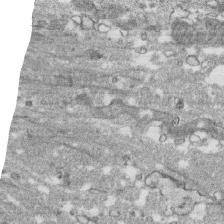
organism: Human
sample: CRL-1474